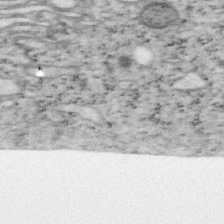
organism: Mouse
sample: OT-I killer T cells with ID8 ovarian cancer cells